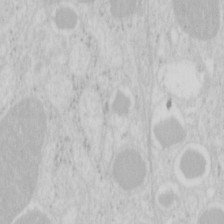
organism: Mouse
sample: Pancreas